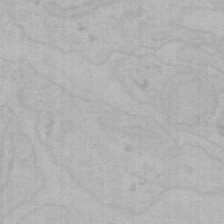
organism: Mouse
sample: Choroid plexus